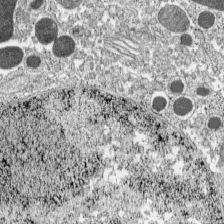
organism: C57BL Mouse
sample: Pancreatic islet